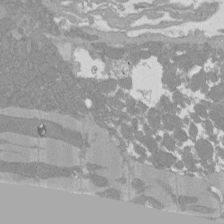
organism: Rat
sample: Left ventricle